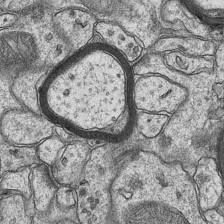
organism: Mouse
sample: CA1 Hippocampus